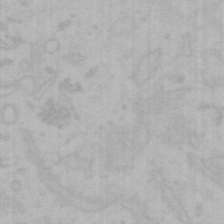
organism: Mouse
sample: Choroid plexus